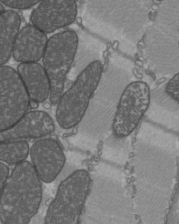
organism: C57BL Mouse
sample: Heart